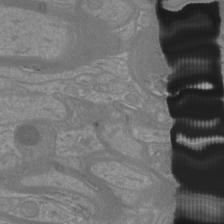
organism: Mouse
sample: Cortical neurons